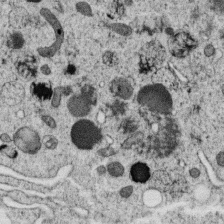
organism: C. elegans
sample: C. elegans oocyte; sperm cells